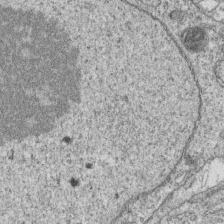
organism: Human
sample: HeLa cell HIV synapse